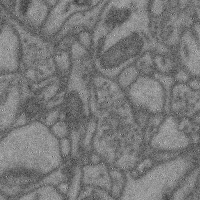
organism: Mouse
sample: Cerebral cortex